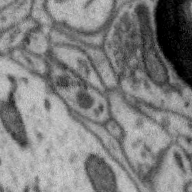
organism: Zebra finch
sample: Brain